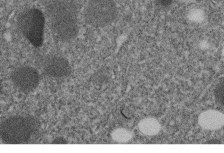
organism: C. elegans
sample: C. elegans embryo early stage